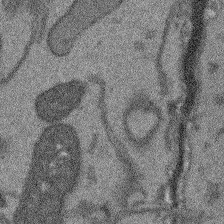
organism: Arabidopsis thaliana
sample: Root tip